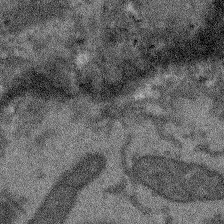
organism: Arabidopsis thaliana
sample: Root tip